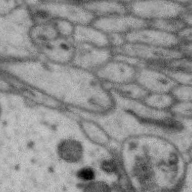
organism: Zebra finch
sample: Brain